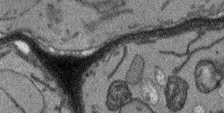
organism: Arabidopsis thaliana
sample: Root tip